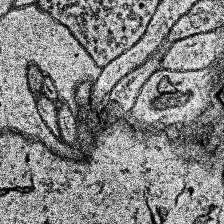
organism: Human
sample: Temporal Lobe